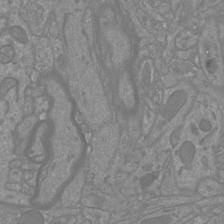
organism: Mouse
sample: Cortical neurons